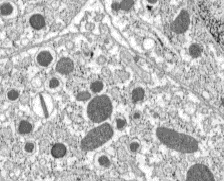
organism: C57BL Mouse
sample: Pancreatic islet